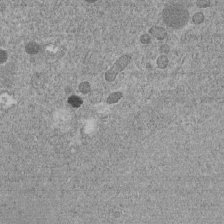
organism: C. elegans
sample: C. elegans embryo early stage